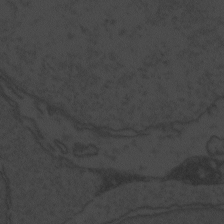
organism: Zebrafish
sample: Macrophage infected with Toxoplasma gondii